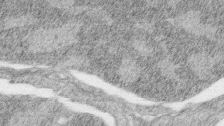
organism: Zebrafish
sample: synaptic ribbons in rod cells and cone cells